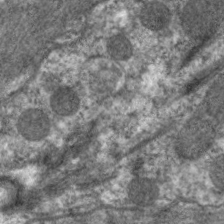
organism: C. elegans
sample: Pharynx